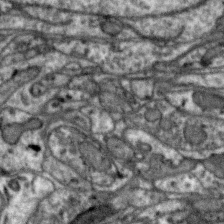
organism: Zebra finch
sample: Brain